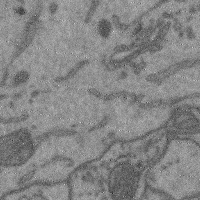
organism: Mouse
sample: Cerebral cortex